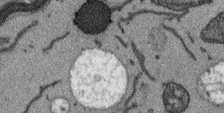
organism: Arabidopsis thaliana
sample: Root tip